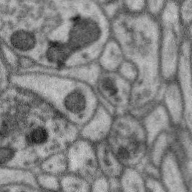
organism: Zebra finch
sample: Brain